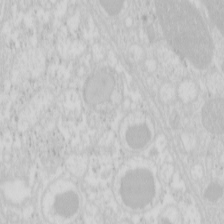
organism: Mouse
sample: Pancreas